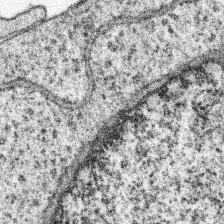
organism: Human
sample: HeLa cells